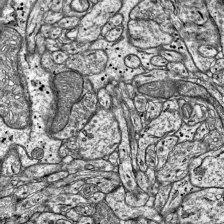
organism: Mouse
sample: Visual Cortex